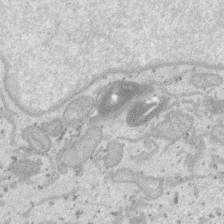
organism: Human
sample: Lung epithelial cells infected with SARS-CoV-2